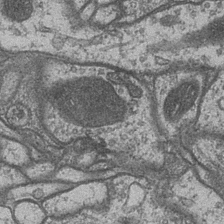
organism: Drosophila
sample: Optic medulla